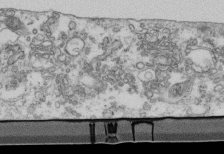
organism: Mouse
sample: Cilia; retinal pigment epithelium